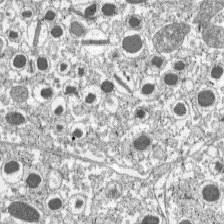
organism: C57BL Mouse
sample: Pancreatic islet